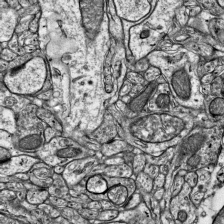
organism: Mouse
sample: Visual Cortex